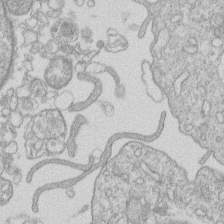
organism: Human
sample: Macrophage cells